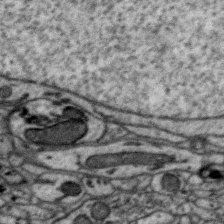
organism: Zebra finch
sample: Brain